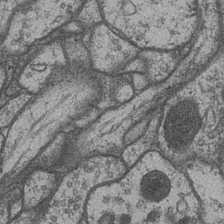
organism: Drosophila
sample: Optic medulla